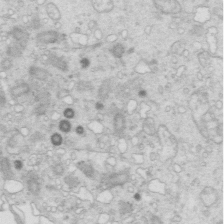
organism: Mouse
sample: Multiciliated cells